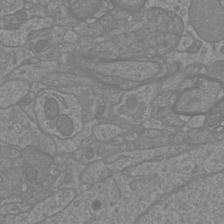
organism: Mouse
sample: Cortical neurons